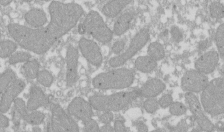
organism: Xenopus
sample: Cilia; centrioles in frog embryo cells